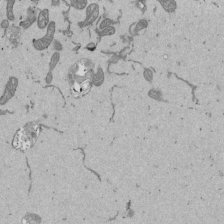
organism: Mouse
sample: ED-1 cell nuclei; centrioles